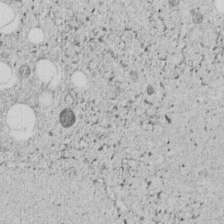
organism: C. elegans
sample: C. elegans embryo early stage